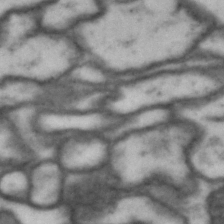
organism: Drosophila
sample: Brain